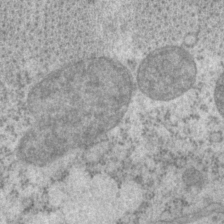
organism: P. pacificus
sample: Pharynx